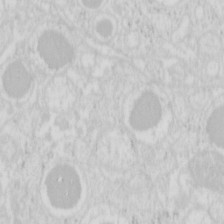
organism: Mouse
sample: Pancreas